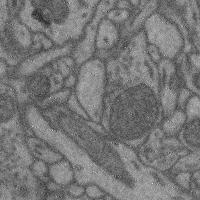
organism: Mouse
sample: Cerebral cortex